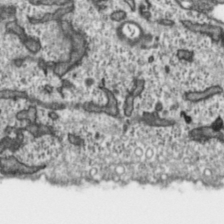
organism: Toxoplasma gondii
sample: Parasites in a vacuole inside a host cell